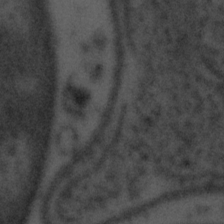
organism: Tuwongella immobilis